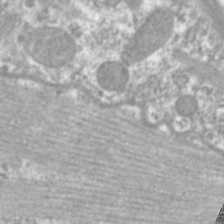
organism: C. elegans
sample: Pharynx